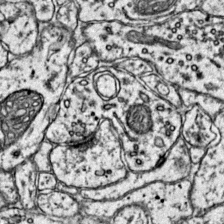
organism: Mouse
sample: Primary visual cortex